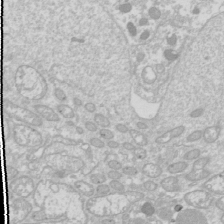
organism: Drosophila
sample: Cell division; meiosis; drosophila spermatocytes